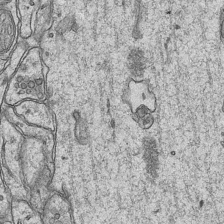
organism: Mouse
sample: CA1 Hippocampus